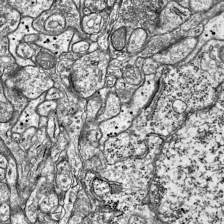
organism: Mouse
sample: Visual Cortex